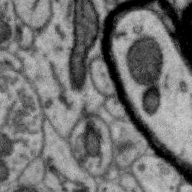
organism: Zebra finch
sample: Brain